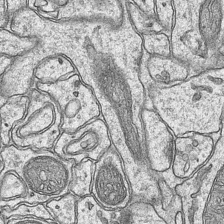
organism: Mouse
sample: CA1 Hippocampus